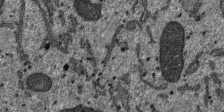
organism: Human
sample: Lung epithelial cells infected with SARS-CoV-2